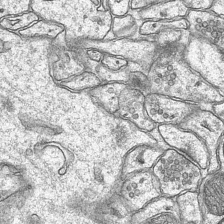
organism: Mouse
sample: CA1 Hippocampus